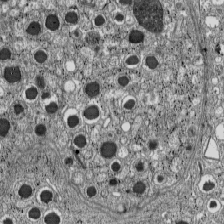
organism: C57BL Mouse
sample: Pancreatic islet